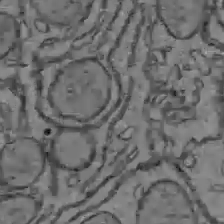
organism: C57BL Mouse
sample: Liver